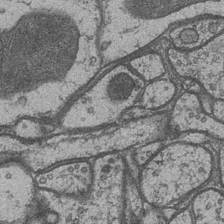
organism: Drosophila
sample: Optic medulla